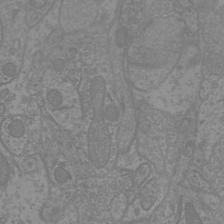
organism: Mouse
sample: Cortical neurons